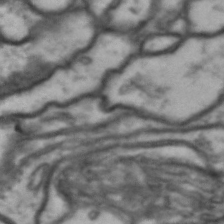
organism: Drosophila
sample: Brain